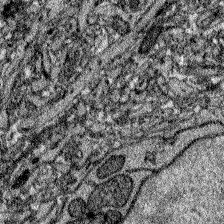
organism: Zebrafish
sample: Larval olfactory bulb